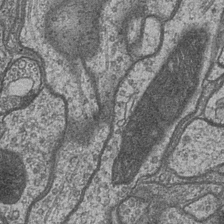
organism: Drosophila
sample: Optic medulla